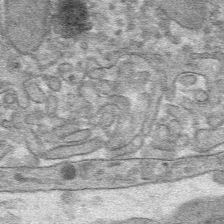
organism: Mouse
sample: Mouse hepatocytes